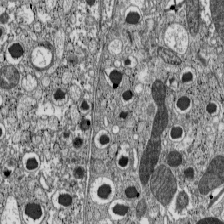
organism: C57BL Mouse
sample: Pancreatic islet